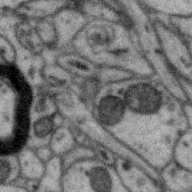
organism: Zebra finch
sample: Brain